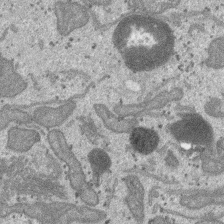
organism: Human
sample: Lung epithelial cells infected with SARS-CoV-2